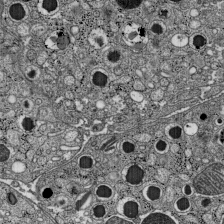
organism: C57BL Mouse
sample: Pancreatic islet